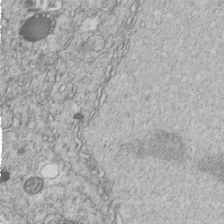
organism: C. elegans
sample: C. elegans embryo early stage